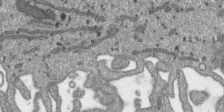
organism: Human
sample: Lung epithelial cells infected with SARS-CoV-2